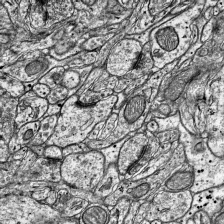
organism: Mouse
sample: Visual Cortex